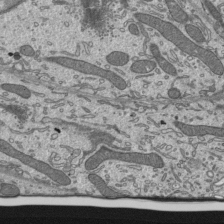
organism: Mouse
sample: Mouse epididymis efferent ductule cilia